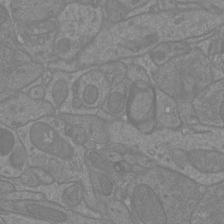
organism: Mouse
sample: Cortical neurons